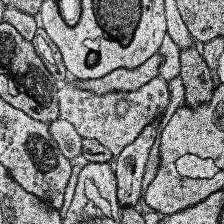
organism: Human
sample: Temporal Lobe